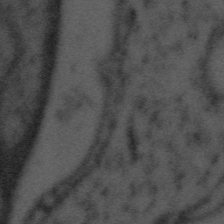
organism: Tuwongella immobilis